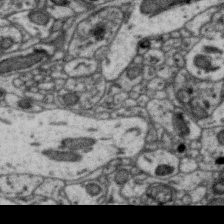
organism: Zebra finch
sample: Brain